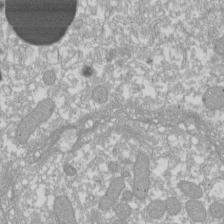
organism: Xenopus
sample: Cilia; centrioles in frog embryo cells